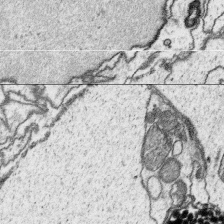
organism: Platynereis dumerilii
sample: Parapodia